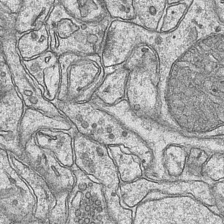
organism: Mouse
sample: CA1 Hippocampus